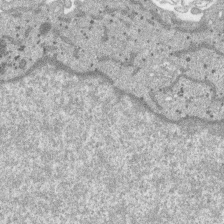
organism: Human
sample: Lung epithelial cells infected with SARS-CoV-2